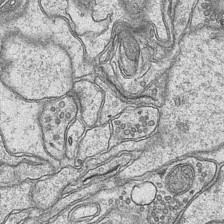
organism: Mouse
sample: CA1 Hippocampus